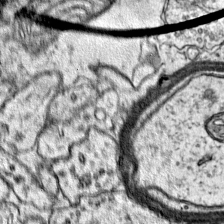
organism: Mouse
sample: Primary visual cortex